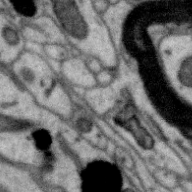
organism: Zebra finch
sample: Brain